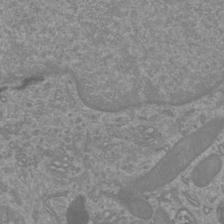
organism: Mouse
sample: Cortical neurons